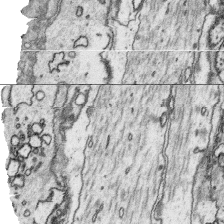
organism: Platynereis dumerilii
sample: Parapodia